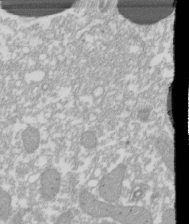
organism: Xenopus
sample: Cilia; centrioles in frog embryo cells